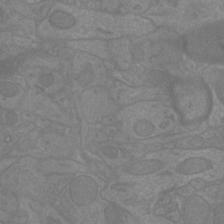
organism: Mouse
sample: Cortical neurons